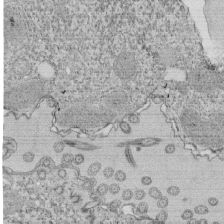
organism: Tetrahymena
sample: Cilia in tetrahymena